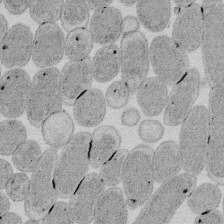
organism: E. coli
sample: Bacterial nucleoid